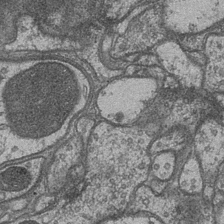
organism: Drosophila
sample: Optic medulla